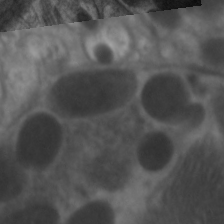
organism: C. elegans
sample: Pharynx